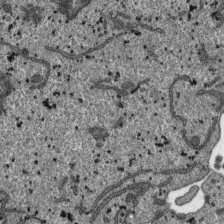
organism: Human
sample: Lung epithelial cells infected with SARS-CoV-2